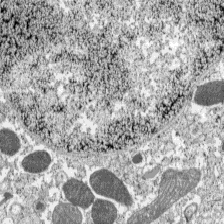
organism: C57BL Mouse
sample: Pancreatic islet